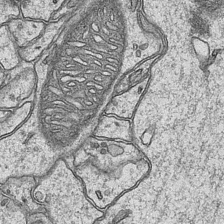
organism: Mouse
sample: CA1 Hippocampus